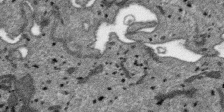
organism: Human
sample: Lung epithelial cells, uninfected (mock) control